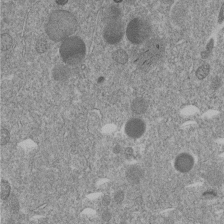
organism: C. elegans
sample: C. elegans embryo early stage